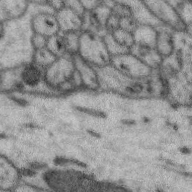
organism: Zebra finch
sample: Brain